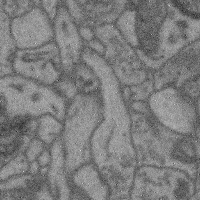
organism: Mouse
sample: Cerebral cortex